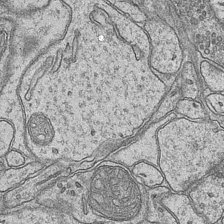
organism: Mouse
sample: CA1 Hippocampus